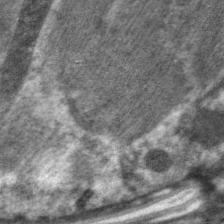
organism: C. elegans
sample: Pharynx